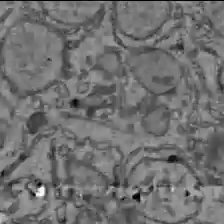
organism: C57BL Mouse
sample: Liver